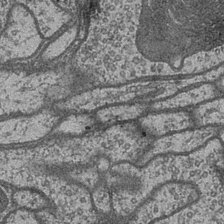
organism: Drosophila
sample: Optic medulla